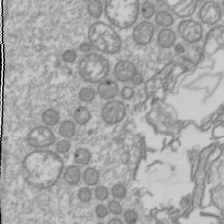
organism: Drosophila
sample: Cell division; meiosis; drosophila spermatocytes